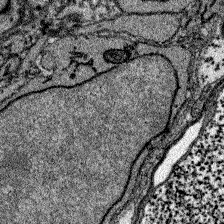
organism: Zebrafish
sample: Larval olfactory bulb